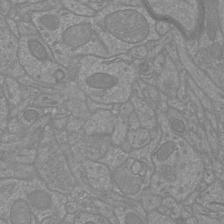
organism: Mouse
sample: Cortical neurons